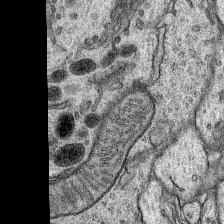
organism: Rat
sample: Hippocampus